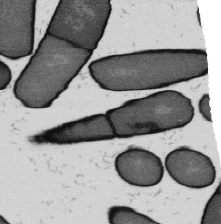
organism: B. subtilis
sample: Bacterial spore